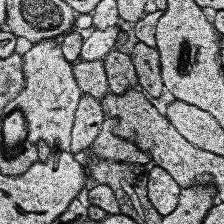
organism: Human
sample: Temporal Lobe